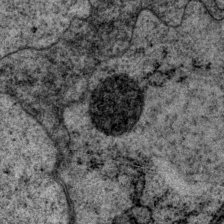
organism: P. pacificus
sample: Pharynx